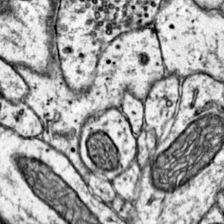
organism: Mouse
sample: Primary visual cortex